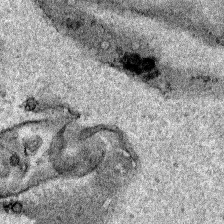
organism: Human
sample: Mitochondria in HCT116 cells